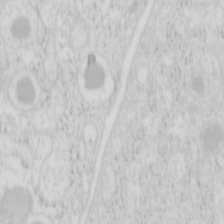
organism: Mouse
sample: Pancreas